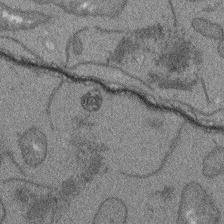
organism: Arabidopsis thaliana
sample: Root tip